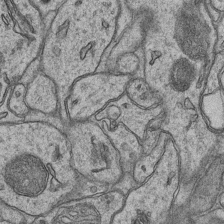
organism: Mouse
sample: CA1 Hippocampus